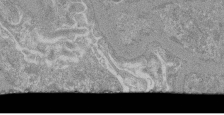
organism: Mouse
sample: Glomerulus